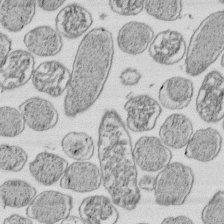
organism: E. coli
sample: Bacterial nucleoid